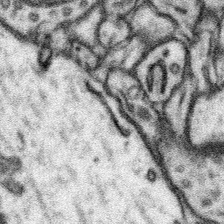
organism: Mouse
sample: Somatosensory cortex neuropil